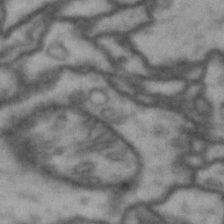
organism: Drosophila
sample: Brain